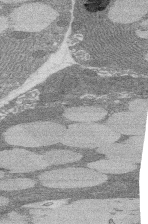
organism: Rat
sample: Salivary granule